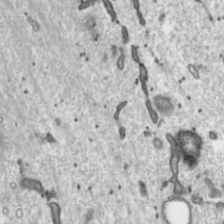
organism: Toxoplasma gondii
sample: Parasites in a vacuole inside a host cell